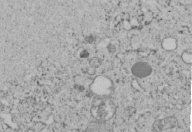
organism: C. elegans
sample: C. elegans embryo early stage